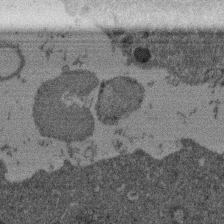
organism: Mouse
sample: Dividing mouse embryo 1 cell stage